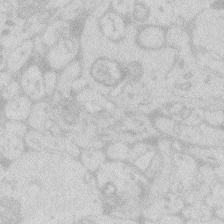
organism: Zebrafish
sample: Macrophage